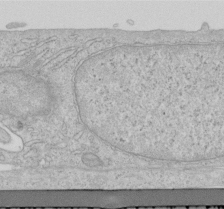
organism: Human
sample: Centriole in RPE cells